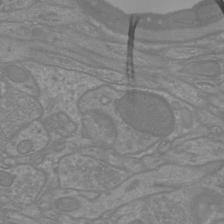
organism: Mouse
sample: Cortical neurons